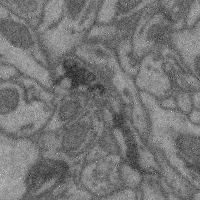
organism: Mouse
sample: Cerebral cortex